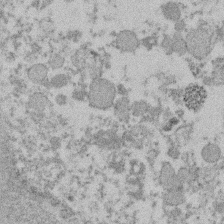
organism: Mouse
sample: Dividing mouse embryo 1 cell stage